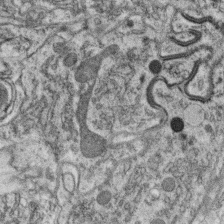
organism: C. elegans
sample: C. elegans oocyte; sperm cells